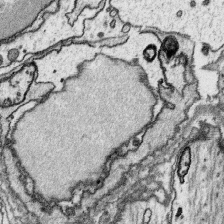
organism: Platynereis dumerilii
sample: Parapodia